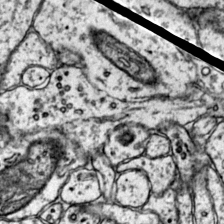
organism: Mouse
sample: Primary visual cortex